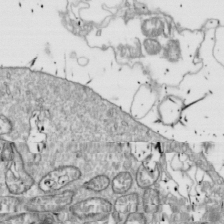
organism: Drosophila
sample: Cell division; meiosis; drosophila spermatocytes